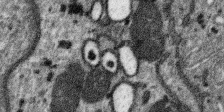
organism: Human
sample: Lung epithelial cells infected with SARS-CoV-2